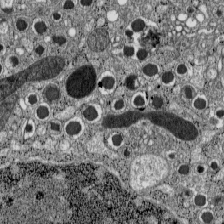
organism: C57BL Mouse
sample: Pancreatic islet